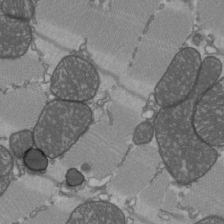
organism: C57BL Mouse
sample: Heart